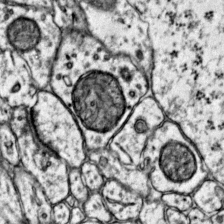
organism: Mouse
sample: Primary visual cortex